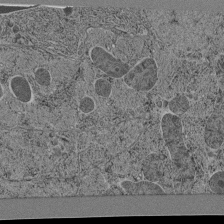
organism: C. elegans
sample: C. elegans pharynx